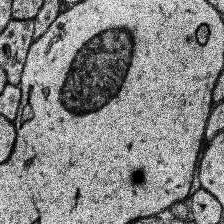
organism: Human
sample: Temporal Lobe